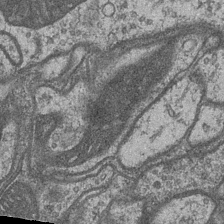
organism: Drosophila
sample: Optic medulla